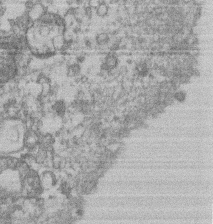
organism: Mouse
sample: T cell stromal cell synapse